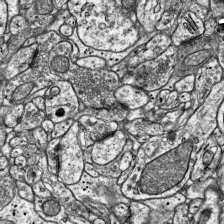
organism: Mouse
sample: Visual Cortex